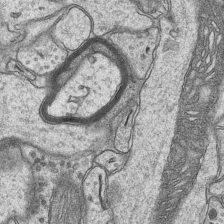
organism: Mouse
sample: CA1 Hippocampus